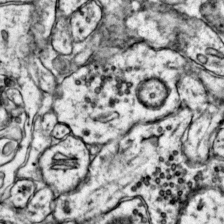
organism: Mouse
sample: Primary visual cortex